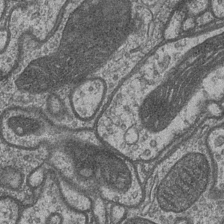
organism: Drosophila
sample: Optic medulla